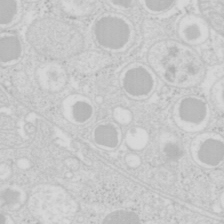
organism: Mouse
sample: Pancreas